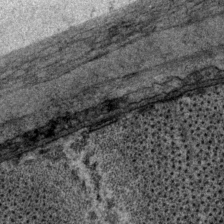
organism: P. pacificus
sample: Pharynx